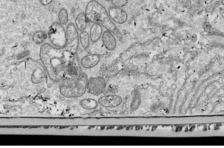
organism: Drosophila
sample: Cell division; meiosis; drosophila spermatocytes